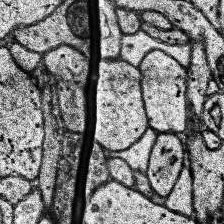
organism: Human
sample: Temporal Lobe